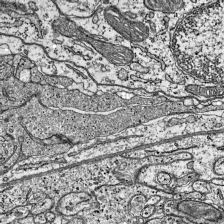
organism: Mouse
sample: Visual Cortex